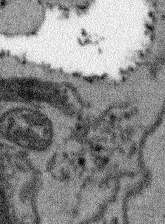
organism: Arabidopsis thaliana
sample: Root tip